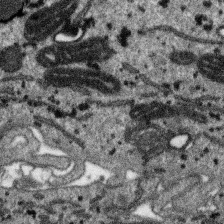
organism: Human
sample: Lung epithelial cells infected with SARS-CoV-2